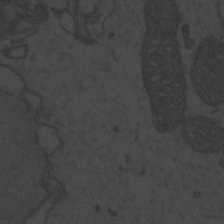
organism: Zebrafish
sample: Macrophage infected with Toxoplasma gondii